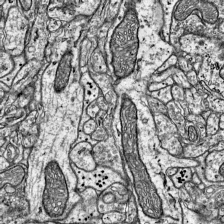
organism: Mouse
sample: Visual Cortex